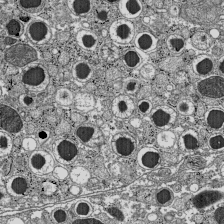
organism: C57BL Mouse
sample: Pancreatic islet